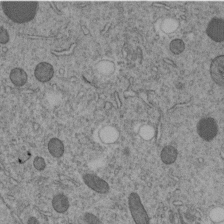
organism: C. elegans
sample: C. elegans embryo early stage